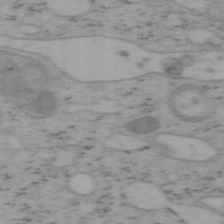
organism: Mouse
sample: OT-I killer T cells with ID8 ovarian cancer cells